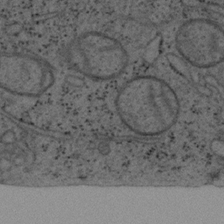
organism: Human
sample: HeLa cells